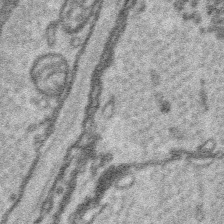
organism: Platynereis dumerilii